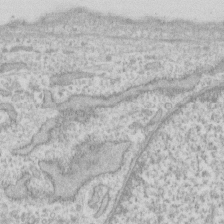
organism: Human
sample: Fibroblast cells